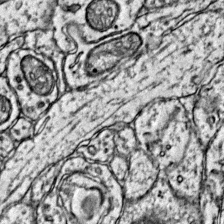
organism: Mouse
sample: Primary visual cortex